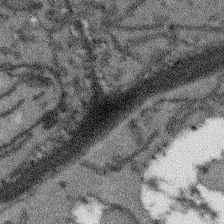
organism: Arabidopsis thaliana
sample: Root tip